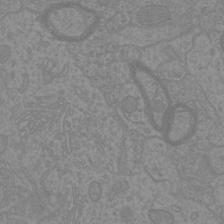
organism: Mouse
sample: Cortical neurons